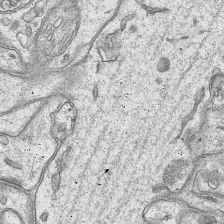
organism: Mouse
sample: CA1 Hippocampus